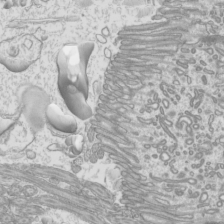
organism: Mouse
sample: Cilia; mouse epididymis